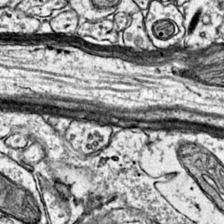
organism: Mouse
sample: Primary visual cortex